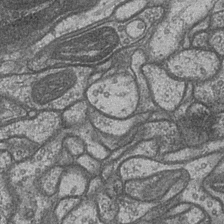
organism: Drosophila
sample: Optic medulla